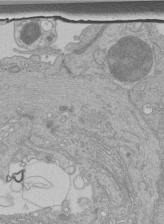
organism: Human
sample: Retinal organoid Rod and Cone cells